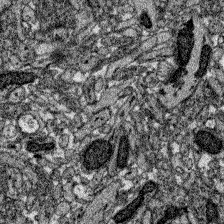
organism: Zebrafish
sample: Larval olfactory bulb